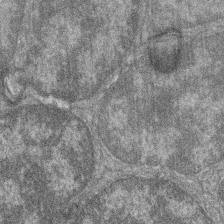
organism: Zebrafish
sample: Cilia; retinal pigment epithelium